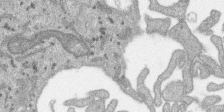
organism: Human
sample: Lung epithelial cells infected with SARS-CoV-2